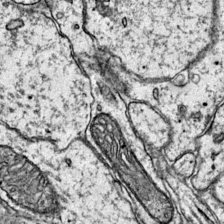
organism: Mouse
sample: Primary visual cortex